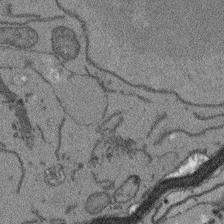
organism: Arabidopsis thaliana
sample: Root tip